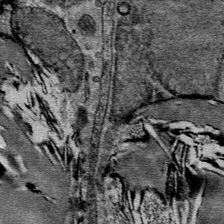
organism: Mouse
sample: Mouse Salivary gland